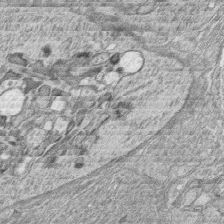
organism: Zebrafish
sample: synaptic ribbons in rod cells and cone cells